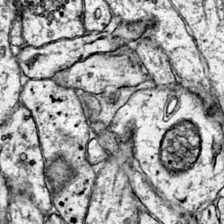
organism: Mouse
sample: Primary visual cortex